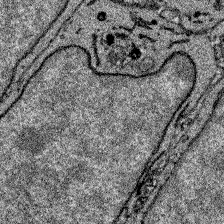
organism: Zebrafish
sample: Larval olfactory bulb